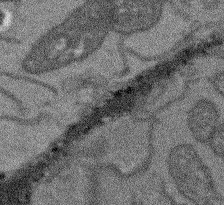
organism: Arabidopsis thaliana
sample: Root tip